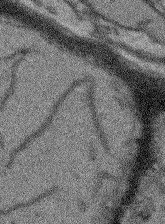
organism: Arabidopsis thaliana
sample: Root tip